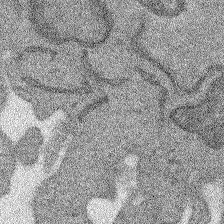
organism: Human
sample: HeLa cells